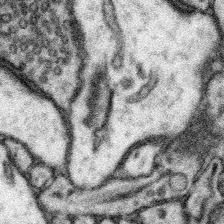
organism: Mouse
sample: Somatosensory cortex neuropil